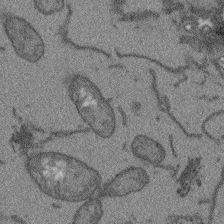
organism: Arabidopsis thaliana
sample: Root tip